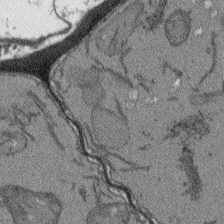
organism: Arabidopsis thaliana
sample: Root tip